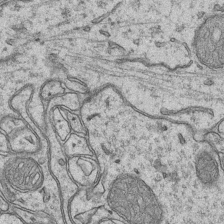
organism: Mouse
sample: CA1 Hippocampus